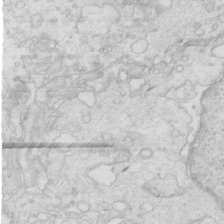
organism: Mouse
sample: Multiciliated cells